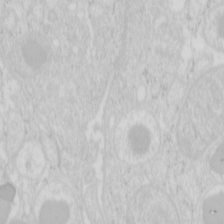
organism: Mouse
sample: Pancreas